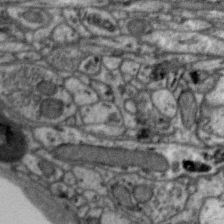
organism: Zebra finch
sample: Brain